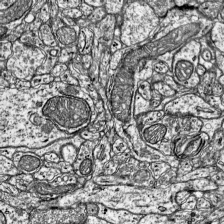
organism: Mouse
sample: Visual Cortex